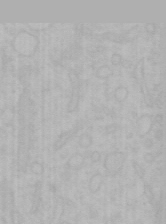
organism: Mouse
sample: Choroid plexus